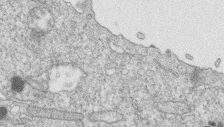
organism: Human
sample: HeLa cell HIV synapse